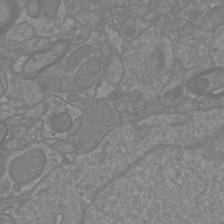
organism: Mouse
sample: Cortical neurons